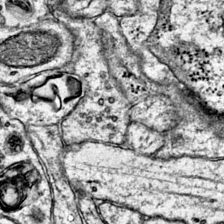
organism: Mouse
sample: Primary visual cortex